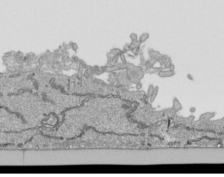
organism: Human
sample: Mitochondria in HCT116 cells